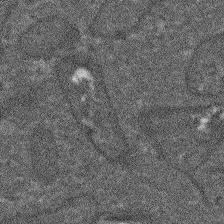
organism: Arabidopsis thaliana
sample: Root tip